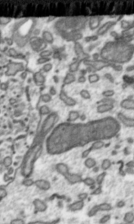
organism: Toxoplasma gondii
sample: Parasites in a vacuole inside a host cell